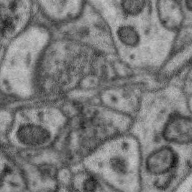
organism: Zebra finch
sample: Brain